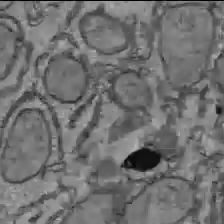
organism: C57BL Mouse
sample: Liver